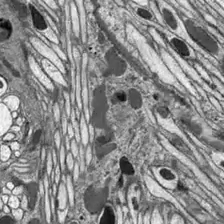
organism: Drosophila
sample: Optic lobe